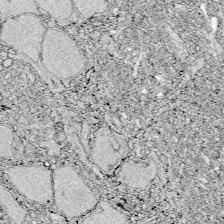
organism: Zebrafish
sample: Whole-Brain